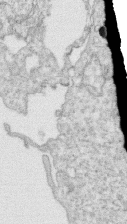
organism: Human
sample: HeLa cell HIV synapse